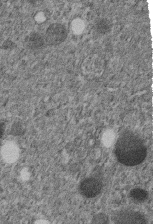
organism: C. elegans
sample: C. elegans embryo early stage